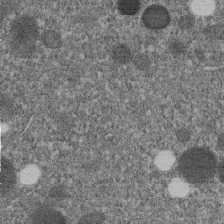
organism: C. elegans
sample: C. elegans embryo early stage